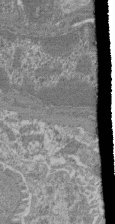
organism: Mouse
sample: Glomerulus